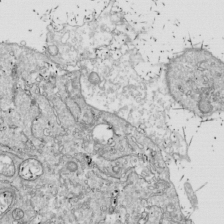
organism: Drosophila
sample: Cell division; meiosis; drosophila spermatocytes